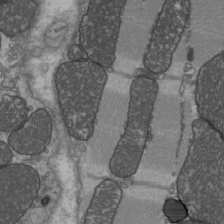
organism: C57BL Mouse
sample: Heart